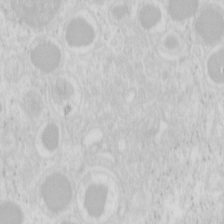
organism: Mouse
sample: Pancreas